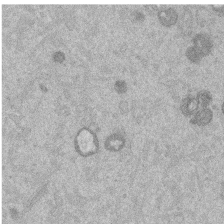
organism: Mouse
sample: Dividing mouse embryo 1 cell stage